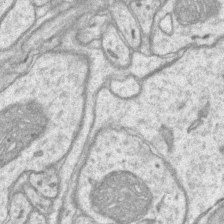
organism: Mouse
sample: CA1 Hippocampus